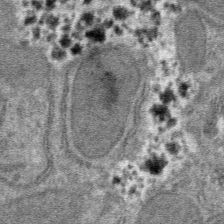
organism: Mouse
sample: Mouse hepatocytes